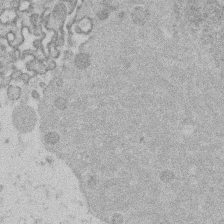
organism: Mouse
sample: Dividing mouse embryo 1 cell stage